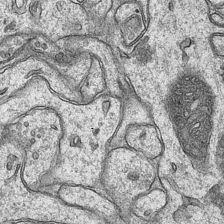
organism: Mouse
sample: CA1 Hippocampus